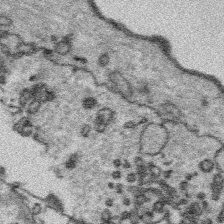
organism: Platynereis dumerilii